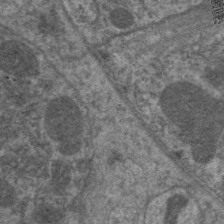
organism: C. elegans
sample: Pharynx